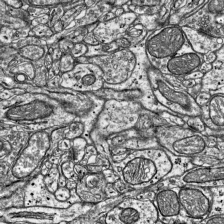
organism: Mouse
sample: Visual Cortex